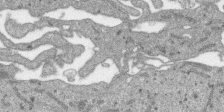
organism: Human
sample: Lung epithelial cells infected with SARS-CoV-2